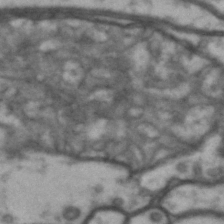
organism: Drosophila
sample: Brain